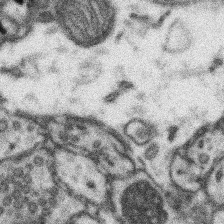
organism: Mouse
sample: Somatosensory cortex neuropil